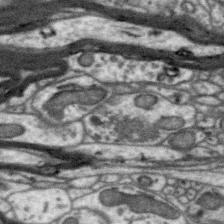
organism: Zebra finch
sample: Brain